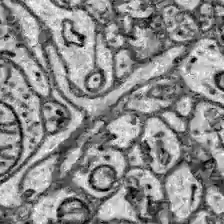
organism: Zebrafish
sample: Brain